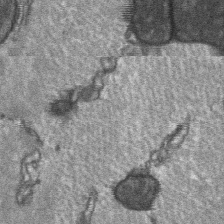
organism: C57BL Mouse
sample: Soleus